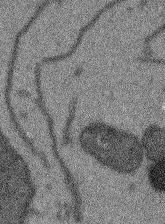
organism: Arabidopsis thaliana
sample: Root tip